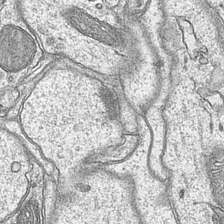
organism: Mouse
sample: CA1 Hippocampus